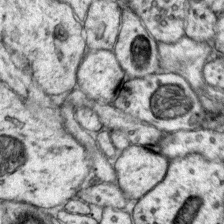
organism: Mouse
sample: Primary visual cortex